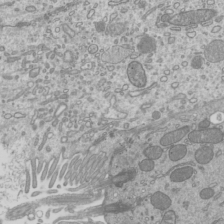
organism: Mouse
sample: Cilia; mouse epididymis